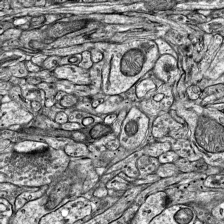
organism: Mouse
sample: Visual Cortex